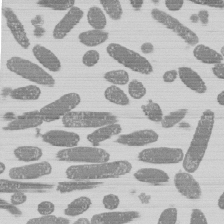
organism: E. coli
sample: Bacterial nucleoid